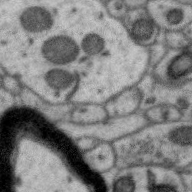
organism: Zebra finch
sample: Brain